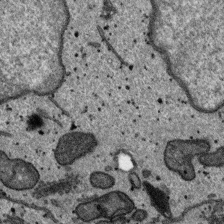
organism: Human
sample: Lung epithelial cells, uninfected (mock) control